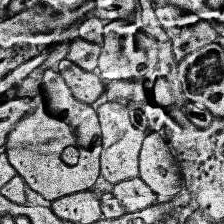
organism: Human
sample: Temporal Lobe